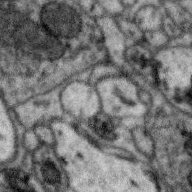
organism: Zebra finch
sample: Brain